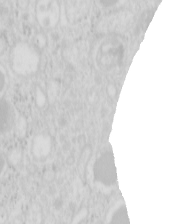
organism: Mouse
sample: Pancreas